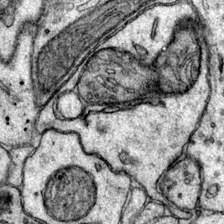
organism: Mouse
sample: Primary visual cortex